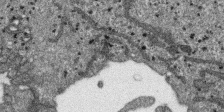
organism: Human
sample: Lung epithelial cells infected with SARS-CoV-2